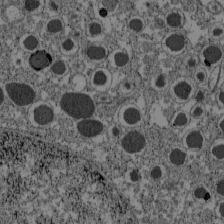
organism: C57BL Mouse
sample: Pancreatic islet